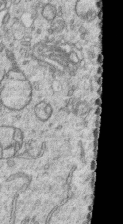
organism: Human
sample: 1205lu cells